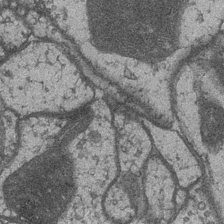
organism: Drosophila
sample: Optic medulla